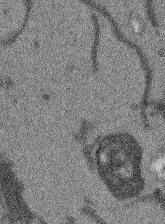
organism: Arabidopsis thaliana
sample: Root tip